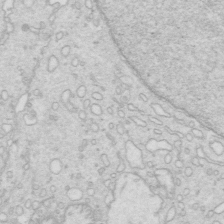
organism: Mouse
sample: Multiciliated cells